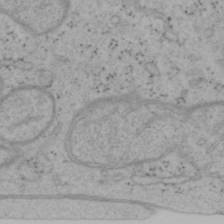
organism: Human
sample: HeLa cells